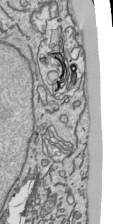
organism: Human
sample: Mitochondria in HCT116 cells